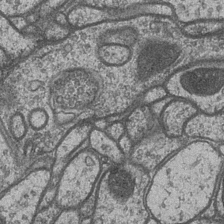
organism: Drosophila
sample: Optic medulla